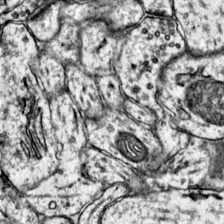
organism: Mouse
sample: Primary visual cortex